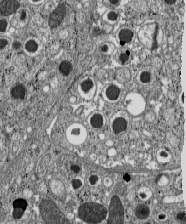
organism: C57BL Mouse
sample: Pancreatic islet